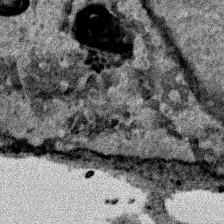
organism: Human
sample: Mitochondria in HCT116 cells